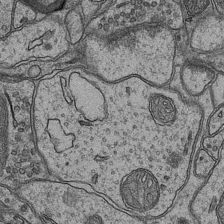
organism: Mouse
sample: CA1 Hippocampus